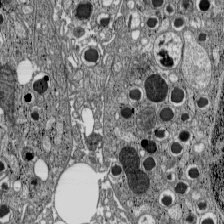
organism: C57BL Mouse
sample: Pancreatic islet